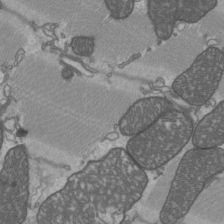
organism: C57BL Mouse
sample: Heart